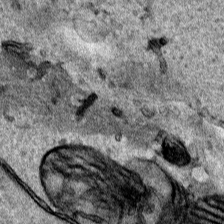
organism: Human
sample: Mitochondria in HCT116 cells